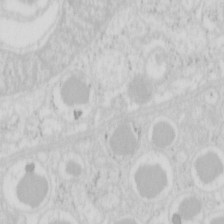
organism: Mouse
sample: Pancreas